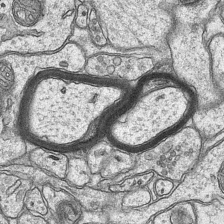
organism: Mouse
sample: CA1 Hippocampus